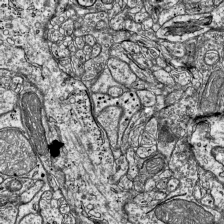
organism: Mouse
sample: Visual Cortex